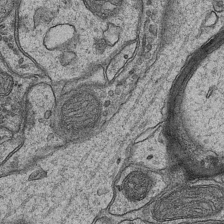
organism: Mouse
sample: CA1 Hippocampus